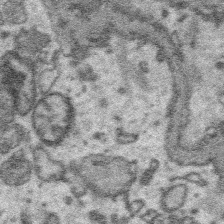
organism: Platynereis dumerilii